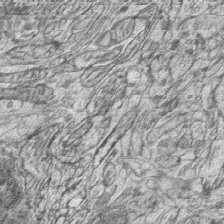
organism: Zebrafish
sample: synaptic ribbons in rod cells and cone cells